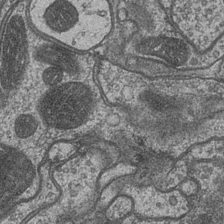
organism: Drosophila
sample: Optic medulla